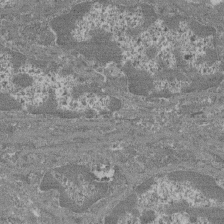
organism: Mouse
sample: Glomerulus